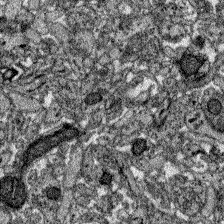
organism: Zebrafish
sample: Larval olfactory bulb